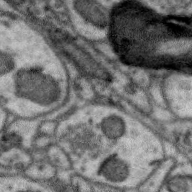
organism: Zebra finch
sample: Brain